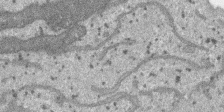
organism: Human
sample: Lung epithelial cells infected with SARS-CoV-2